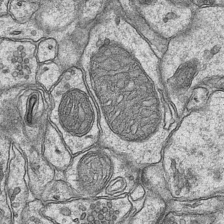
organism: Mouse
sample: CA1 Hippocampus